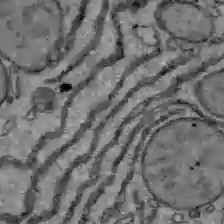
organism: C57BL Mouse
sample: Liver